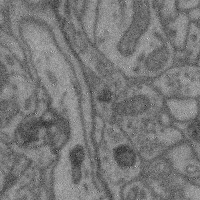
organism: Mouse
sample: Cerebral cortex